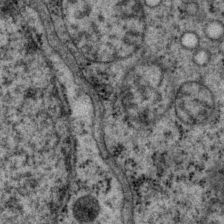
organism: P. pacificus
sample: Pharynx